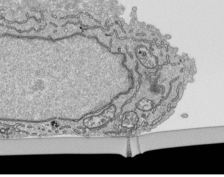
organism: Human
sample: Mitochondria in HCT116 cells